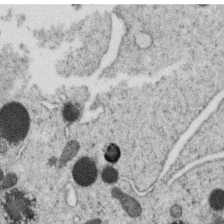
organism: C. elegans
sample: C. elegans oocyte; sperm cells